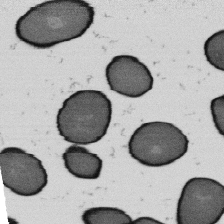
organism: B. subtilis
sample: Bacterial spore